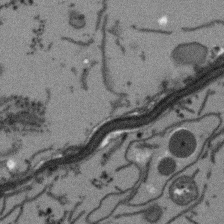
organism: Arabidopsis thaliana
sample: Root tip